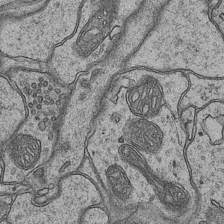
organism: Mouse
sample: CA1 Hippocampus